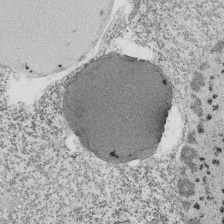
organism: Tetrahymena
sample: Cilia in tetrahymena